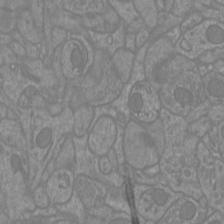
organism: Mouse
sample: Cortical neurons